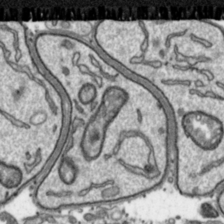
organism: Toxoplasma gondii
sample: Parasites in a vacuole inside a host cell